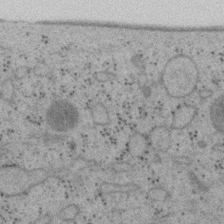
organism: Human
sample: HeLa cells